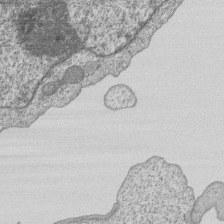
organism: Human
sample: MDA-MB-231 cells